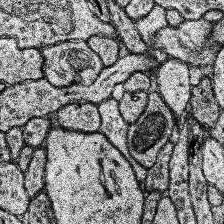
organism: Human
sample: Temporal Lobe